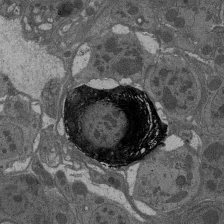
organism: Drosophila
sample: Antenna